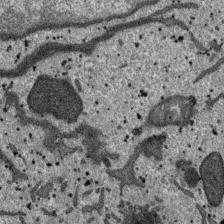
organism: Human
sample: Lung epithelial cells, uninfected (mock) control